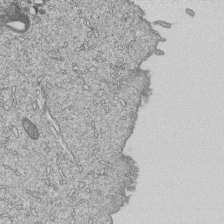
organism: Human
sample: MDA-MB-231 cells